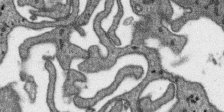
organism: Human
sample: Lung epithelial cells, uninfected (mock) control